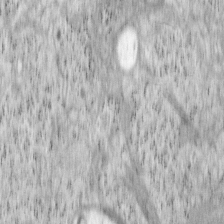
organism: Human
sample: HeLa cells